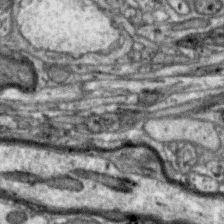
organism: Zebra finch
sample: Brain